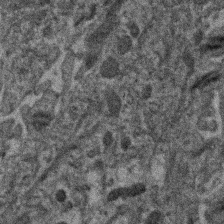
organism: Human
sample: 1205lu cells